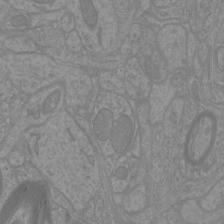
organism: Mouse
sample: Cortical neurons